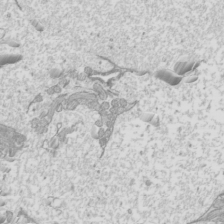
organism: Mouse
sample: Cilia; mouse epididymis